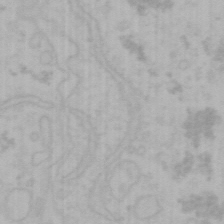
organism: Mouse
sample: Choroid plexus